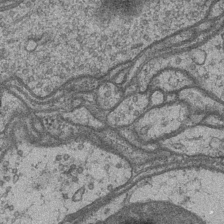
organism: Drosophila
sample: Optic medulla